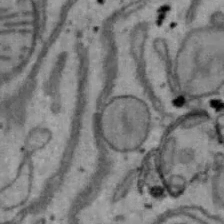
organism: Mouse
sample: Liver